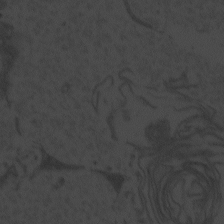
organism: Zebrafish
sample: Macrophage infected with Toxoplasma gondii